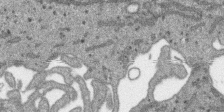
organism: Human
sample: Lung epithelial cells infected with SARS-CoV-2